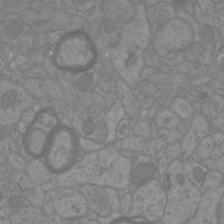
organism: Mouse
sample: Cortical neurons